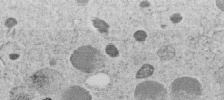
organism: C. elegans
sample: C. elegans embryo early stage